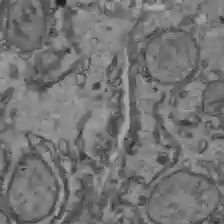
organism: C57BL Mouse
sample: Liver